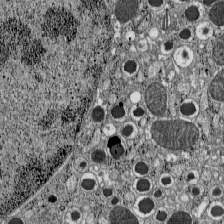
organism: C57BL Mouse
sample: Pancreatic islet